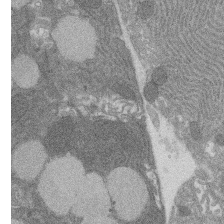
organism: Rat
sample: Salivary granule